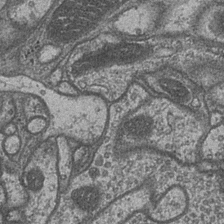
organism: Drosophila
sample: Optic medulla